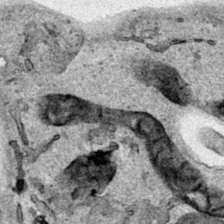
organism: Human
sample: Mitochondria in HCT116 cells